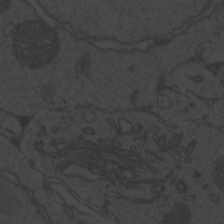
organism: Zebrafish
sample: Macrophage infected with Toxoplasma gondii